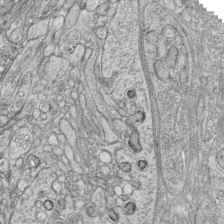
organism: Zebrafish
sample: synaptic ribbons in rod cells and cone cells